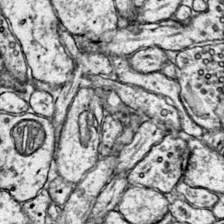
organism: Mouse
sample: Primary visual cortex